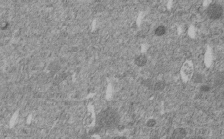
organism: C. elegans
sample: C. elegans embryo early stage